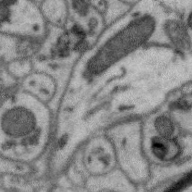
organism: Zebra finch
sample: Brain